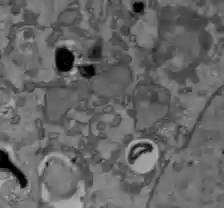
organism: C57BL Mouse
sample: Liver